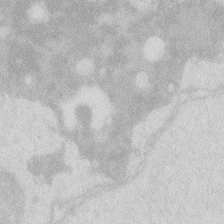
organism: Zebrafish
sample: Macrophage